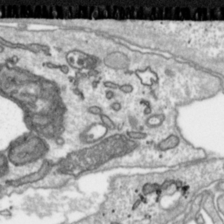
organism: Toxoplasma gondii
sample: Parasites in a vacuole inside a host cell